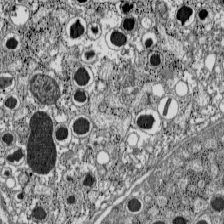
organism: C57BL Mouse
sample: Pancreatic islet